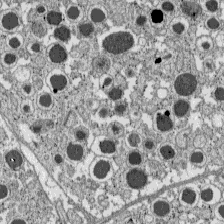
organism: C57BL Mouse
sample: Pancreatic islet